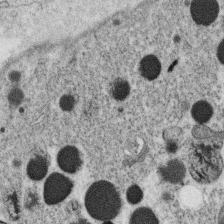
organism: C. elegans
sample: C. elegans oocyte; sperm cells